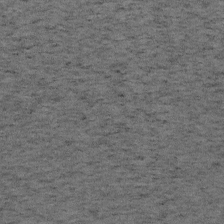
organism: Mouse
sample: OT-I killer T cells with ID8 ovarian cancer cells